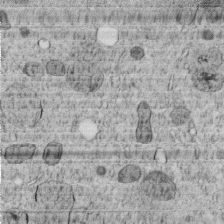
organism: C. elegans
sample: C. elegans embryo early stage